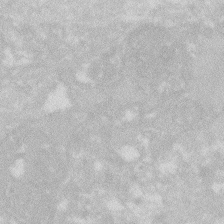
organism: Zebrafish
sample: Macrophage